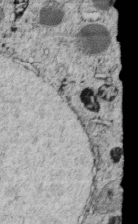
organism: C. elegans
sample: C. elegans embryo early stage